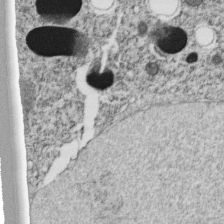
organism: C. elegans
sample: C. elegans embryo early stage